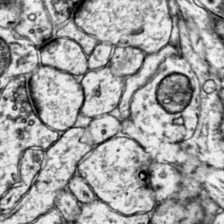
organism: Mouse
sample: Primary visual cortex